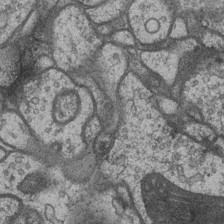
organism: Drosophila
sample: Optic medulla